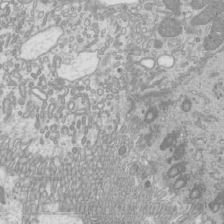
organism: Mouse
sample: Cilia; mouse epididymis